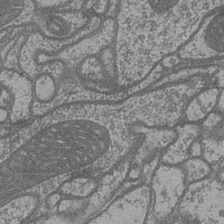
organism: Drosophila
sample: Optic medulla